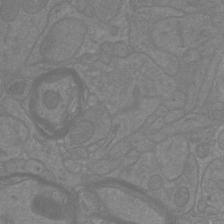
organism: Mouse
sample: Cortical neurons